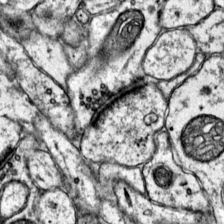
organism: Mouse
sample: Primary visual cortex